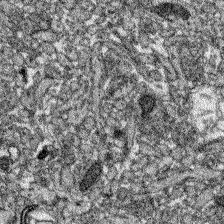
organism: Zebrafish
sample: Larval olfactory bulb